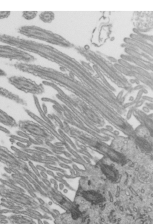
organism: Mouse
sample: Mouse epididymis efferent ductule cilia